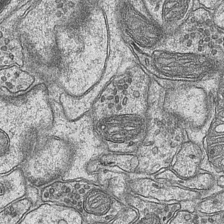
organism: Mouse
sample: CA1 Hippocampus